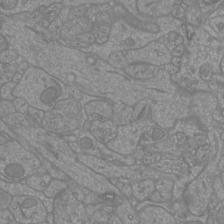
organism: Mouse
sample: Cortical neurons